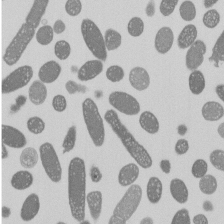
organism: E. coli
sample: Bacterial nucleoid